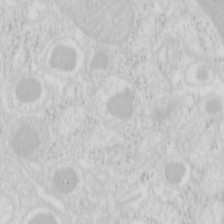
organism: Mouse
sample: Pancreas